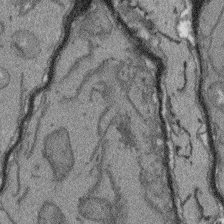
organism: Arabidopsis thaliana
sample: Root tip